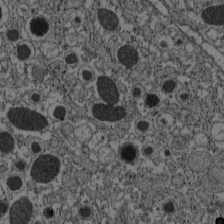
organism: C57BL Mouse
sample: Pancreatic islet